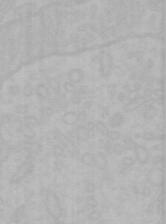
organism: Mouse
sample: Choroid plexus